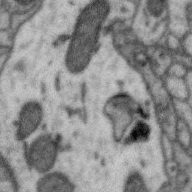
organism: Zebra finch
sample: Brain